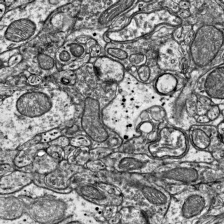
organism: Mouse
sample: Visual Cortex